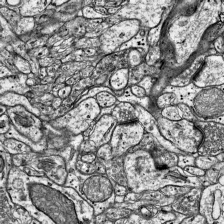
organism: Mouse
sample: Visual Cortex